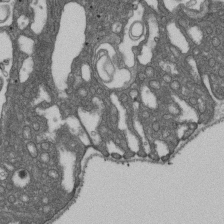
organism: Drosophila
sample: Nephrocyte